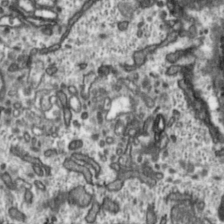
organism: Toxoplasma gondii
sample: Parasites in a vacuole inside a host cell